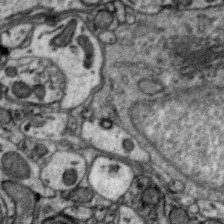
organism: Zebra finch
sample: Brain